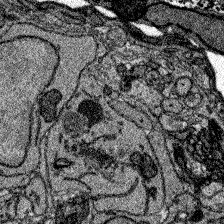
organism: Zebrafish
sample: Larval olfactory bulb